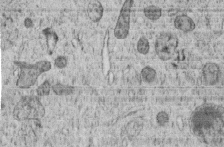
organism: C. elegans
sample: C. elegans embryo early stage